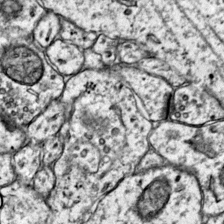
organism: Mouse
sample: Primary visual cortex